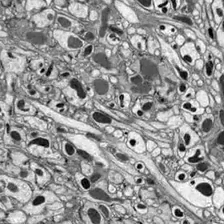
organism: Drosophila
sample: Optic lobe